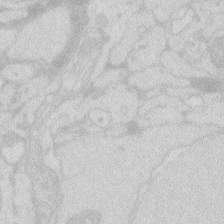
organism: Zebrafish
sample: Macrophage